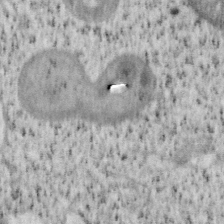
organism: Mouse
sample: OT-I killer T cells with ID8 ovarian cancer cells